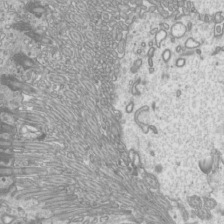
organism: Mouse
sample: Cilia; mouse epididymis